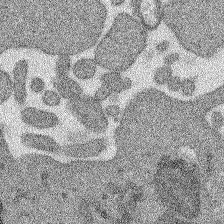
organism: Human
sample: HeLa cells